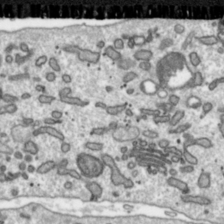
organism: Toxoplasma gondii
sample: Parasites in a vacuole inside a host cell